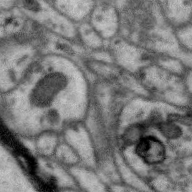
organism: Zebra finch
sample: Brain